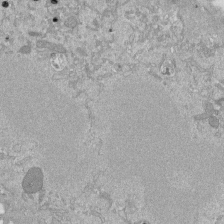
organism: Mouse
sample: ED-1 cell nuclei; centrioles